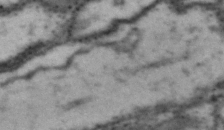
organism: Drosophila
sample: Brain